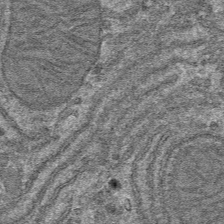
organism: Mouse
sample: Mouse hepatocytes